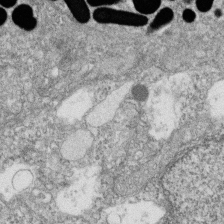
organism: Zebrafish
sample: Cilia; retinal pigment epithelium